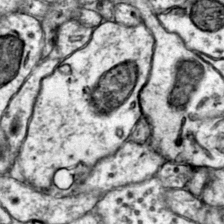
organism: Mouse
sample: Primary visual cortex